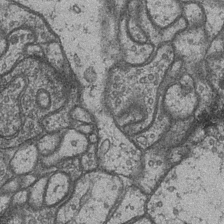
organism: Drosophila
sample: Optic medulla